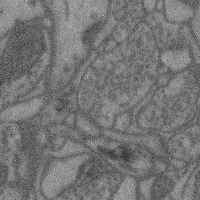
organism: Mouse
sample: Cerebral cortex